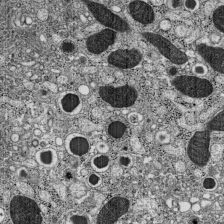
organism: C57BL Mouse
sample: Pancreatic islet